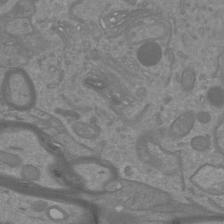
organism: Mouse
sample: Cortical neurons